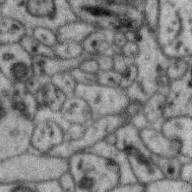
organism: Zebra finch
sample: Brain